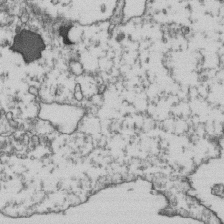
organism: Human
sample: Activated Jurkat CD4+ T cells